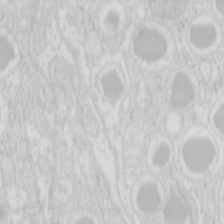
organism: Mouse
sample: Pancreas